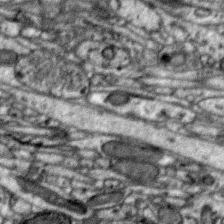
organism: Zebra finch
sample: Brain